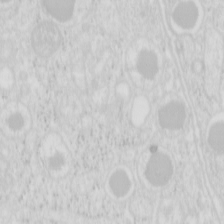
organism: Mouse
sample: Pancreas